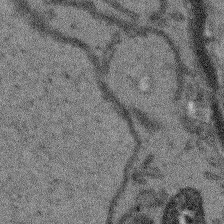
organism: Arabidopsis thaliana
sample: Root tip